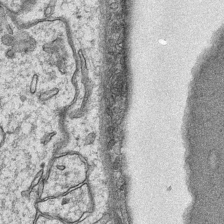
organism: Mouse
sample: CA1 Hippocampus